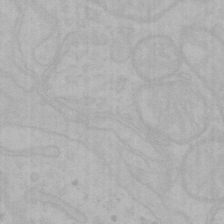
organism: Mouse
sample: Choroid plexus